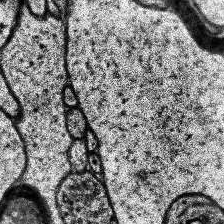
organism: Human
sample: Temporal Lobe